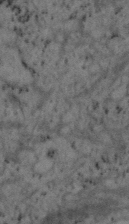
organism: Human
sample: HeLa cells